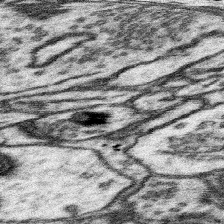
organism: Mouse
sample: Somatosensory cortex neuropil